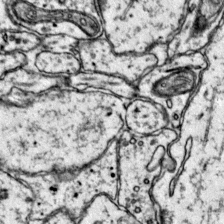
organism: Mouse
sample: Primary visual cortex